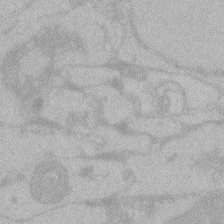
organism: Zebrafish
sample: Macrophage infected with Toxoplasma gondii